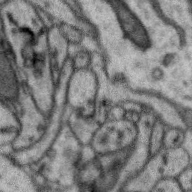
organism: Zebra finch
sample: Brain